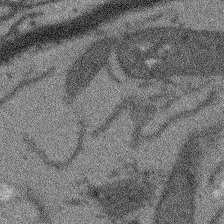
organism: Arabidopsis thaliana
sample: Root tip